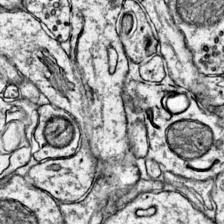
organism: Mouse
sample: Primary visual cortex